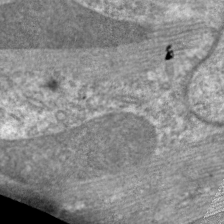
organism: C. elegans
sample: Pharynx